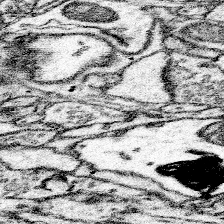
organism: Mouse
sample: Somatosensory cortex neuropil